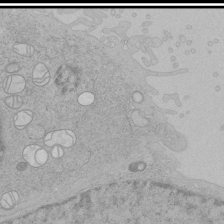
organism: Human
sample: Mitochondria in HCT116 cells